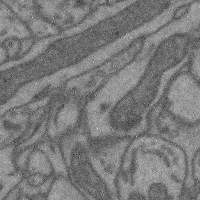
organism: Mouse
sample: Cerebral cortex